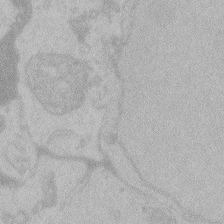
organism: Zebrafish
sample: Macrophage infected with Toxoplasma gondii